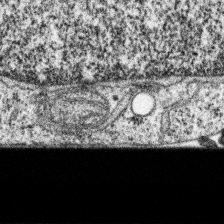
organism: Human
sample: HeLa cells